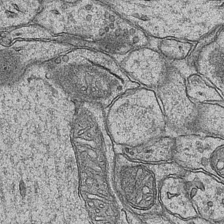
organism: Mouse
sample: CA1 Hippocampus